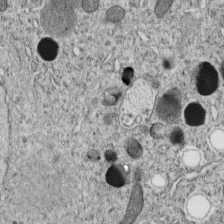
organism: C. elegans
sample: C. elegans embryo early stage